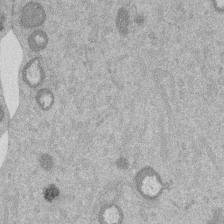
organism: Mouse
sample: Dividing mouse embryo 1 cell stage